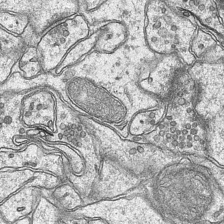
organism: Mouse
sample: CA1 Hippocampus